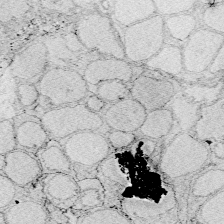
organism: Zebrafish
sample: Whole-Brain